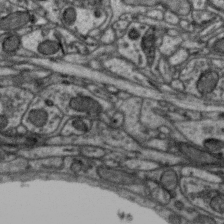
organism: Zebra finch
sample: Brain